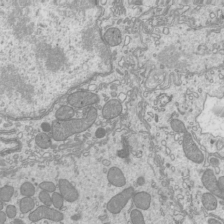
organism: Mouse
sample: Cilia; mouse epididymis